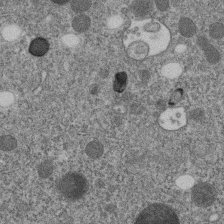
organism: C. elegans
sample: C. elegans embryo early stage